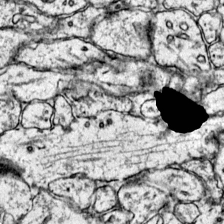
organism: Mouse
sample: Primary visual cortex